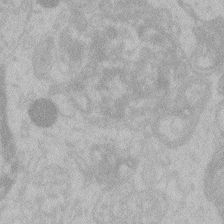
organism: Zebrafish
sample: Macrophage infected with Toxoplasma gondii